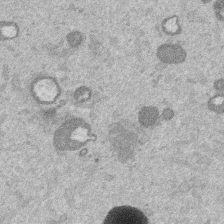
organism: Mouse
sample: Dividing mouse embryo 1 cell stage